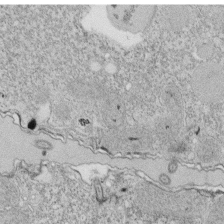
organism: Tetrahymena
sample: Cilia in tetrahymena